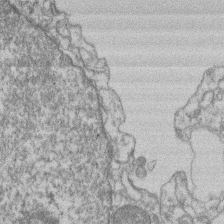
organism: Mouse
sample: T cell stromal cell synapse